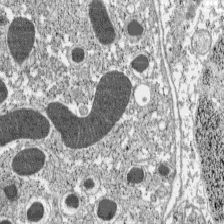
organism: C57BL Mouse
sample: Pancreatic islet